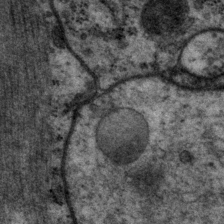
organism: P. pacificus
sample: Pharynx